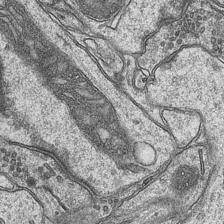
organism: Mouse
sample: CA1 Hippocampus